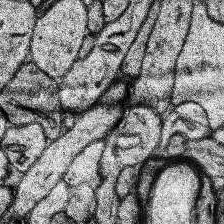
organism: Human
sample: Temporal Lobe